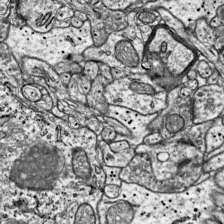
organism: Mouse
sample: Visual Cortex